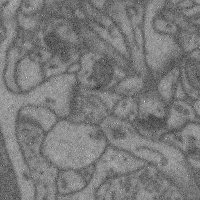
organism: Mouse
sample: Cerebral cortex